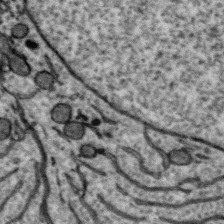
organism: Zebra finch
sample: Brain